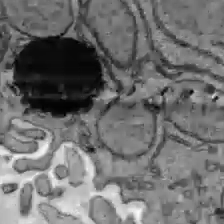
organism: C57BL Mouse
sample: Liver